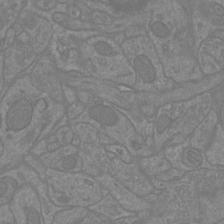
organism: Mouse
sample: Cortical neurons